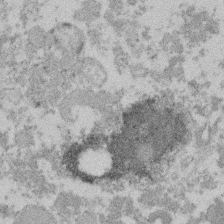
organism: Mouse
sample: Dividing mouse embryo 1 cell stage